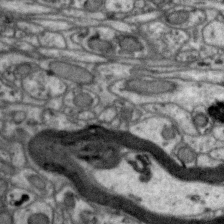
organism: Zebra finch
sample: Brain